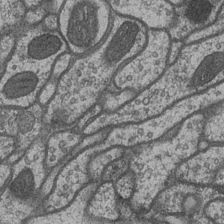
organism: Drosophila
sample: Optic medulla